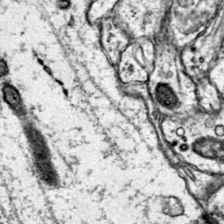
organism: Mouse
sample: Primary visual cortex